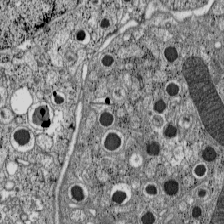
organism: C57BL Mouse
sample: Pancreatic islet